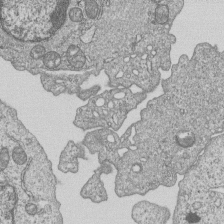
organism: Human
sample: MDA-MB-231 cells